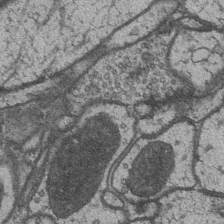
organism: Drosophila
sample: Optic medulla